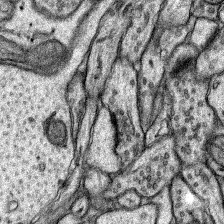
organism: Rat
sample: Hippocampus